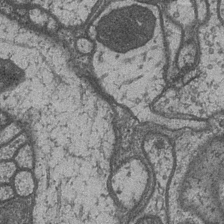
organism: Drosophila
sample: Optic medulla